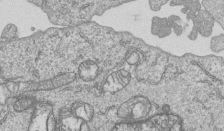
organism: Human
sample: MDA-MB-231 cells